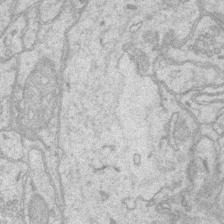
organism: Mouse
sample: CA1 Hippocampus